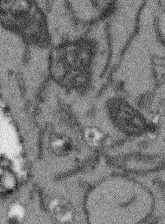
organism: Arabidopsis thaliana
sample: Root tip